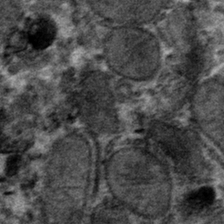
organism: Mouse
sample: Mouse hepatocytes